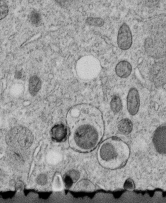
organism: C. elegans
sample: C. elegans embryo early stage